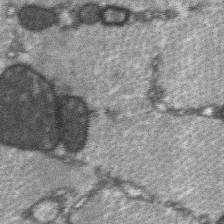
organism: C57BL Mouse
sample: Soleus